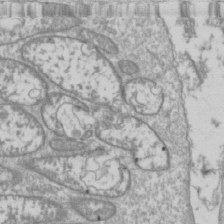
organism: Drosophila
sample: Cell division; meiosis; drosophila spermatocytes